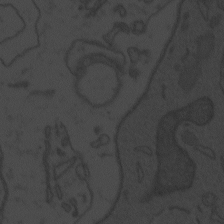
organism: Zebrafish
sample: Macrophage infected with Toxoplasma gondii